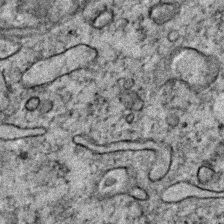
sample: Trachea